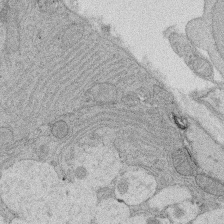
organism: Rat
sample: Salivary granule